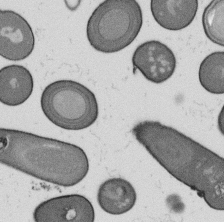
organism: B. subtilis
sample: Bacterial spore